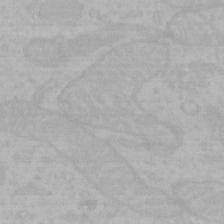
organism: Mouse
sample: Choroid plexus